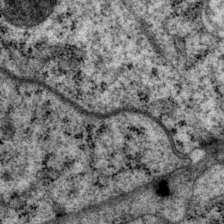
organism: P. pacificus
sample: Pharynx